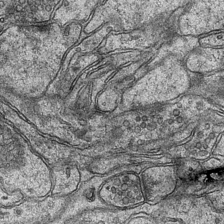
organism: Mouse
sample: CA1 Hippocampus